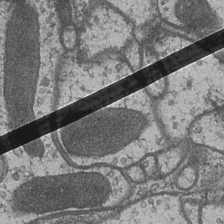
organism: Drosophila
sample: Optic medulla